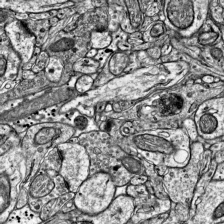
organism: Mouse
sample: Visual Cortex